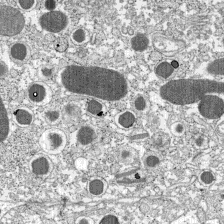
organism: C57BL Mouse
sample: Pancreatic islet